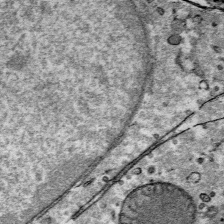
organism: Mouse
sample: Mouse Salivary gland